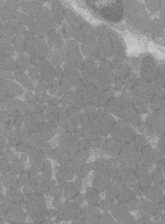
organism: C57BL Mouse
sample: Tibialis anterior muscle cell